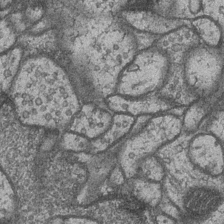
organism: Drosophila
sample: Optic medulla